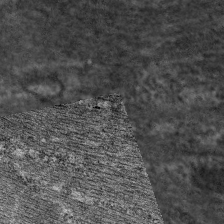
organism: C. elegans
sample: Pharynx